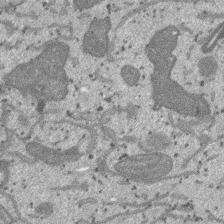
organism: Human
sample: Lung epithelial cells infected with SARS-CoV-2